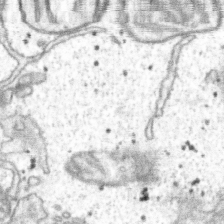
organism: Human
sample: HeLa cells